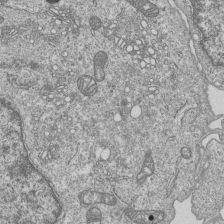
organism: Human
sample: MDA-MB-231 cells